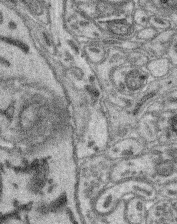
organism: Mouse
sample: Retina